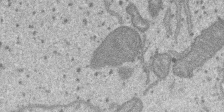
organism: Human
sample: Lung epithelial cells infected with SARS-CoV-2